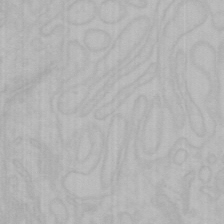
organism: Mouse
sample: Choroid plexus